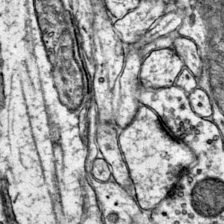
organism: Mouse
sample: Primary visual cortex